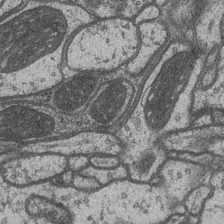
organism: Drosophila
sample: Optic medulla